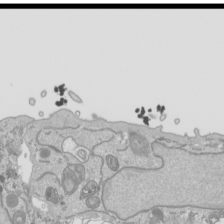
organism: Human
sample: Mitochondria in HCT116 cells